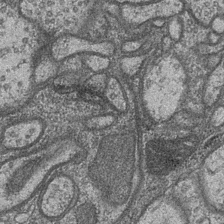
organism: Drosophila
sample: Optic medulla